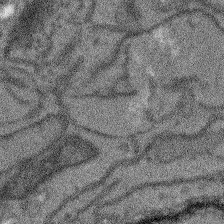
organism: Arabidopsis thaliana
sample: Root tip